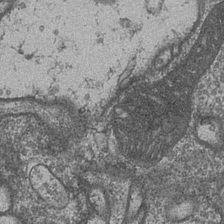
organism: Drosophila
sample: Optic medulla